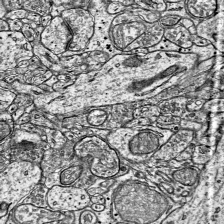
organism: Mouse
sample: Visual Cortex